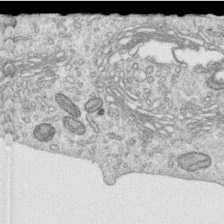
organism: Human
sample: Centriole in RPE cells